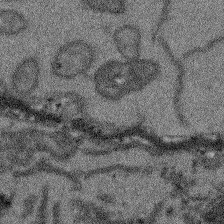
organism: Arabidopsis thaliana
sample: Root tip